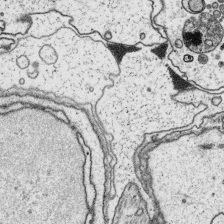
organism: Platynereis dumerilii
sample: Parapodia